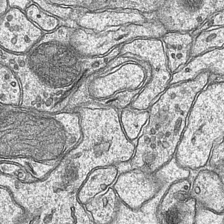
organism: Mouse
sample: CA1 Hippocampus